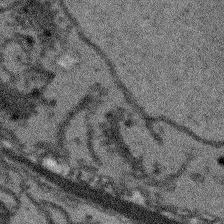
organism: Arabidopsis thaliana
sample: Root tip